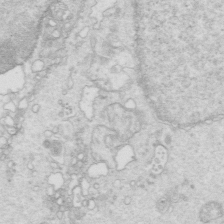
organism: Mouse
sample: Multiciliated cells